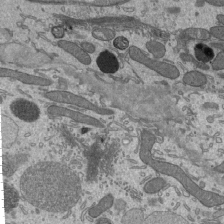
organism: Mouse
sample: Mouse epididymis efferent ductule cilia